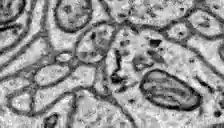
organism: Zebrafish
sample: Brain